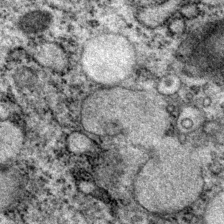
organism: P. pacificus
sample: Pharynx